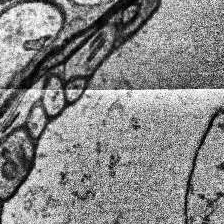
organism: Human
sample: Temporal Lobe